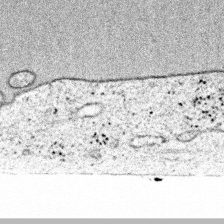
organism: Human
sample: HeLa cells